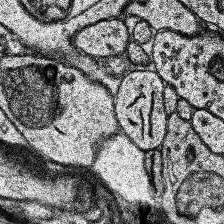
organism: Human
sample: Temporal Lobe